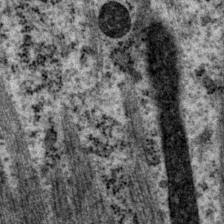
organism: P. pacificus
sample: Pharynx